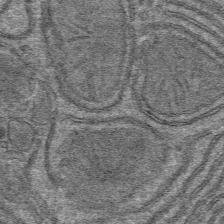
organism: Mouse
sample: Mouse hepatocytes